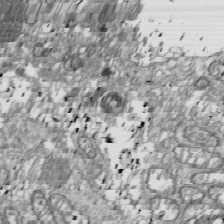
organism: Drosophila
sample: Cell division; meiosis; drosophila spermatocytes